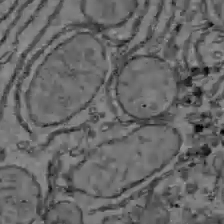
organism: C57BL Mouse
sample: Liver